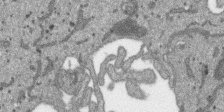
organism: Human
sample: Lung epithelial cells infected with SARS-CoV-2